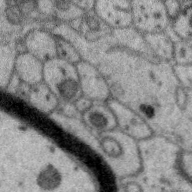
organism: Zebra finch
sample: Brain